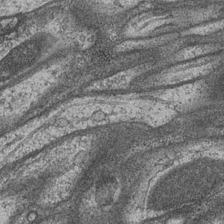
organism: Drosophila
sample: Optic medulla